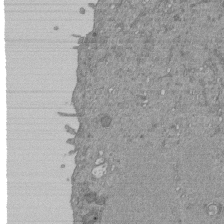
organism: Mouse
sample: ED-1 cell nuclei; centrioles